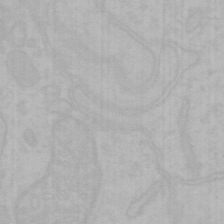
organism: Mouse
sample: Choroid plexus